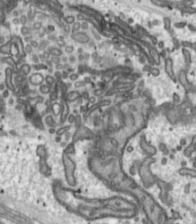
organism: Toxoplasma gondii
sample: Parasites in a vacuole inside a host cell